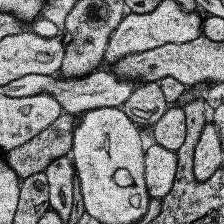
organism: Human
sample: Temporal Lobe